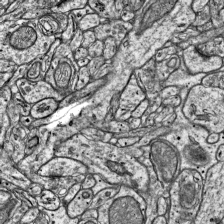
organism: Mouse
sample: Visual Cortex